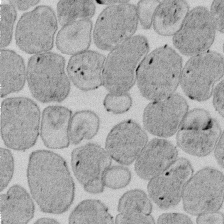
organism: E. coli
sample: Bacterial nucleoid